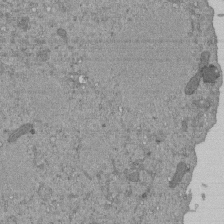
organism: Mouse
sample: ED-1 cell nuclei; centrioles